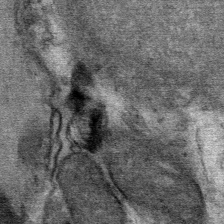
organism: Mouse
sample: Mouse Salivary gland